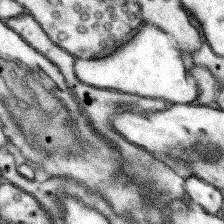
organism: Mouse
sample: Somatosensory cortex neuropil